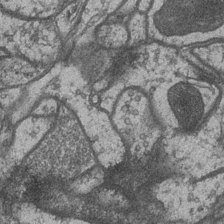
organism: Drosophila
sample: Optic medulla